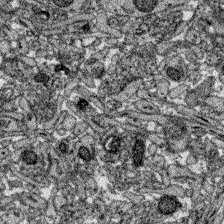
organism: Zebrafish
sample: Larval olfactory bulb